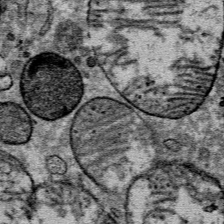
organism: Mouse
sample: Mouse Salivary gland